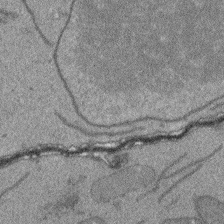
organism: Arabidopsis thaliana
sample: Root tip